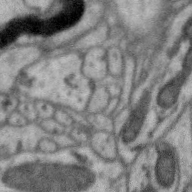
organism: Zebra finch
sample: Brain